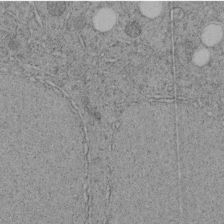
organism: C. elegans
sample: C. elegans embryo early stage